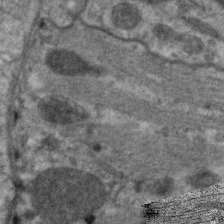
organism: C. elegans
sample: Pharynx